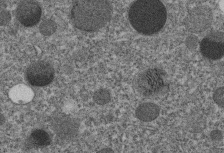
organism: C. elegans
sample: C. elegans embryo early stage